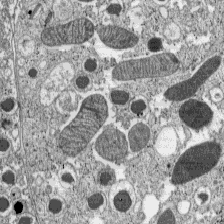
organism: C57BL Mouse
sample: Pancreatic islet